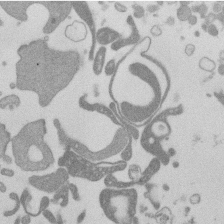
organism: Mouse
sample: Dividing mouse embryo 1 cell stage